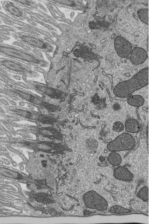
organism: Mouse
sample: Mouse epididymis efferent ductule cilia